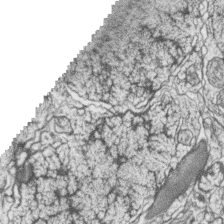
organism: Zebrafish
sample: synaptic ribbons in rod cells and cone cells